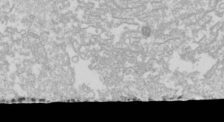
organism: Drosophila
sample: Cell division; meiosis; drosophila spermatocytes